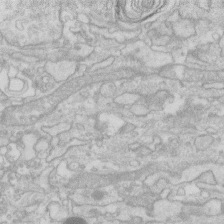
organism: Human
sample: Fibroblast cells